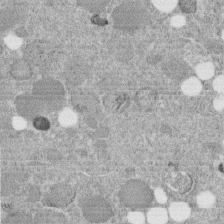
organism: C. elegans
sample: C. elegans embryo early stage